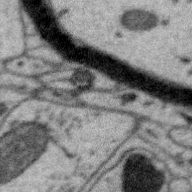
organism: Zebra finch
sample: Brain